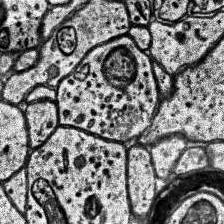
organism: Human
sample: Temporal Lobe